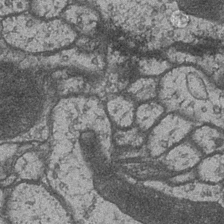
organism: Drosophila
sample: Optic medulla